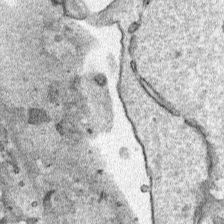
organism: Human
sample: Mitochondria in HCT116 cells